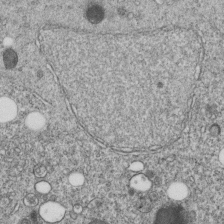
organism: C. elegans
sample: C. elegans embryo early stage